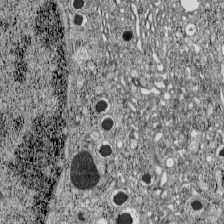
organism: C57BL Mouse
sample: Pancreatic islet